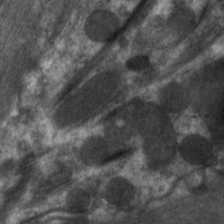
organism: C. elegans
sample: Pharynx